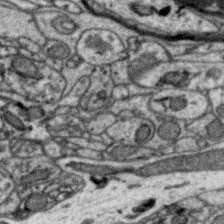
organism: Zebra finch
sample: Brain